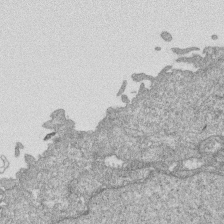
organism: Human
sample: HeLa cell HIV synapse